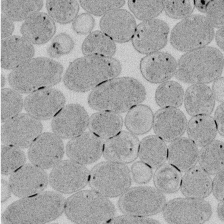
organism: E. coli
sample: Bacterial nucleoid